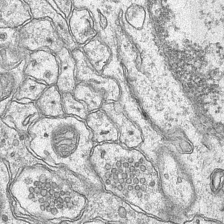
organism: Mouse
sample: CA1 Hippocampus